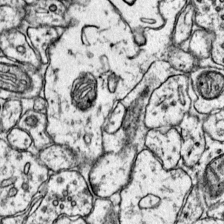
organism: Mouse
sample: Primary visual cortex